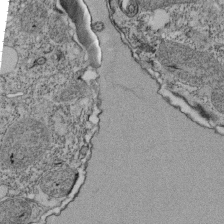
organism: Tetrahymena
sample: Cilia in tetrahymena